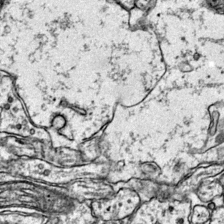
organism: Mouse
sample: Primary visual cortex